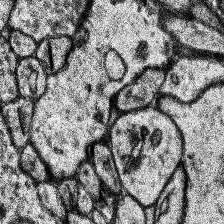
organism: Human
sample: Temporal Lobe